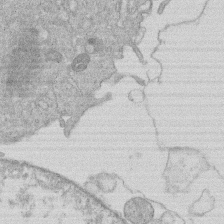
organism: Human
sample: Macrophage cells